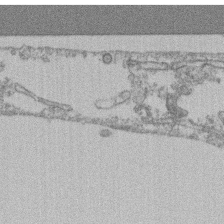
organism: Mouse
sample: T cell stromal cell synapse